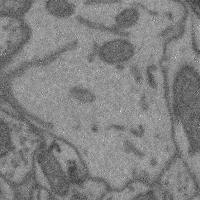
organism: Mouse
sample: Cerebral cortex